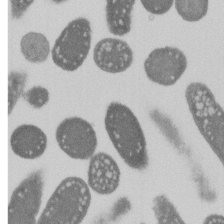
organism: E. coli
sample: Bacterial nucleoid